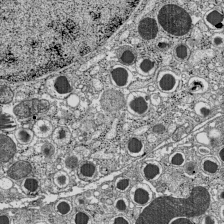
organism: C57BL Mouse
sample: Pancreatic islet